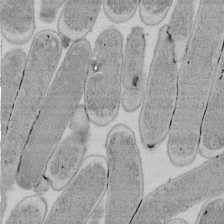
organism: E. coli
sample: Bacterial nucleoid